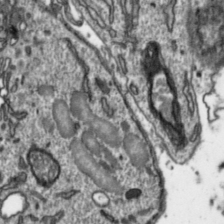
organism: Toxoplasma gondii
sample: Parasites in a vacuole inside a host cell